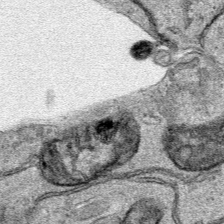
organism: Human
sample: Mitochondria in HCT116 cells